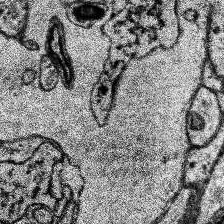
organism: Human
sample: Temporal Lobe